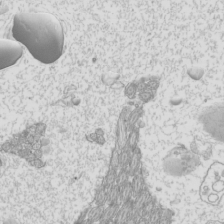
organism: Mouse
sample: Cilia; mouse epididymis